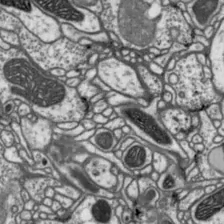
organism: Drosophila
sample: Protocerebral bridge